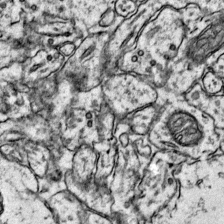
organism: Mouse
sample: Primary visual cortex